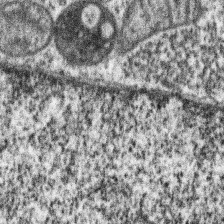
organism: Human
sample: HeLa cells